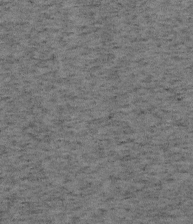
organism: Mouse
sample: OT-I killer T cells with ID8 ovarian cancer cells